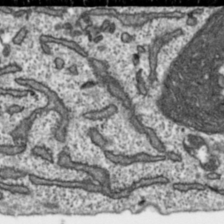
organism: Toxoplasma gondii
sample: Parasites in a vacuole inside a host cell